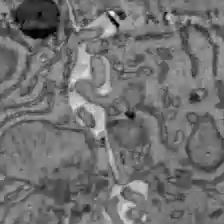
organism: C57BL Mouse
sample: Liver